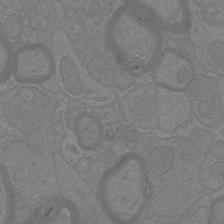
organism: Mouse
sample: Cortical neurons